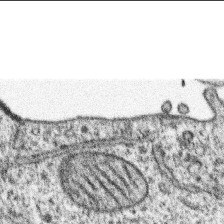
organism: Human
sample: HeLa cells